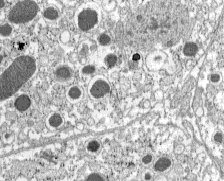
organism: C57BL Mouse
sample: Pancreatic islet